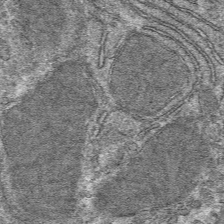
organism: Mouse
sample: Mouse hepatocytes